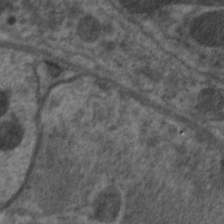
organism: C. elegans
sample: Pharynx